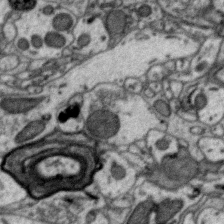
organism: Zebra finch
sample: Brain